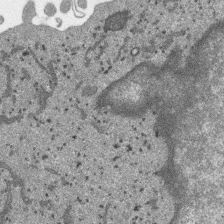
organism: Human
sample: Lung epithelial cells infected with SARS-CoV-2